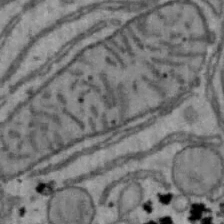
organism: Mouse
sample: Liver